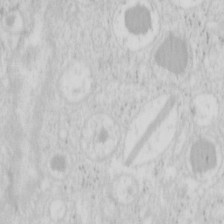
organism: Mouse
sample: Pancreas